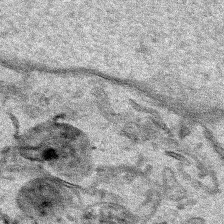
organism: Human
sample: Mitochondria in HCT116 cells